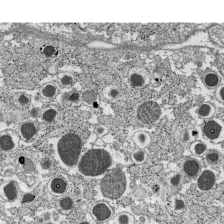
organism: C57BL Mouse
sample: Pancreatic islet